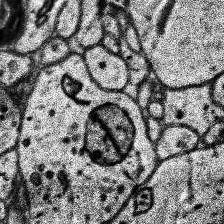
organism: Human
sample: Temporal Lobe